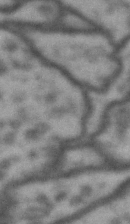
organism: Drosophila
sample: Brain